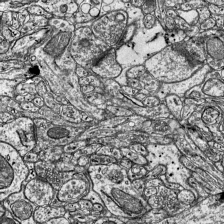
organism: Mouse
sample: Visual Cortex